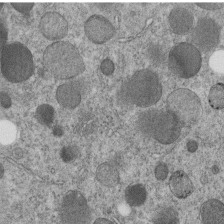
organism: C. elegans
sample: C. elegans embryo early stage